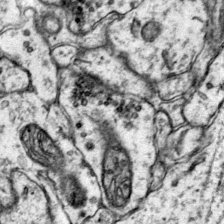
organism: Mouse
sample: Primary visual cortex